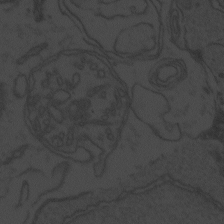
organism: Zebrafish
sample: Macrophage infected with Toxoplasma gondii